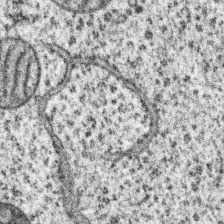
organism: Human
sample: HeLa cells